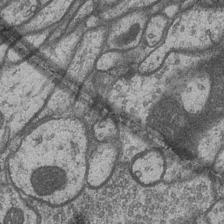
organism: Drosophila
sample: Optic medulla